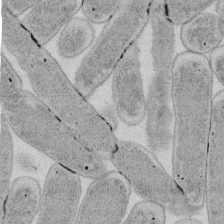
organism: E. coli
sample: Bacterial nucleoid